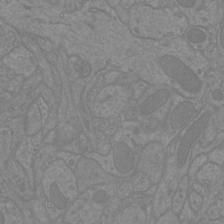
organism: Mouse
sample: Cortical neurons